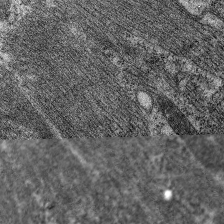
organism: C. elegans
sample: Pharynx